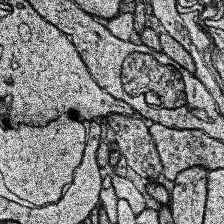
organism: Human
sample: Temporal Lobe